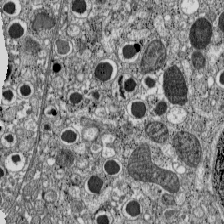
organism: C57BL Mouse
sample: Pancreatic islet